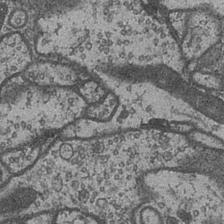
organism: Drosophila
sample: Optic medulla